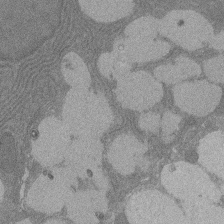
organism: Rat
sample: Salivary granule